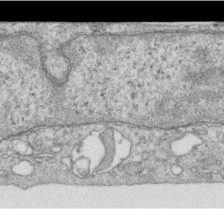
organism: Human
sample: Centriole in RPE cells